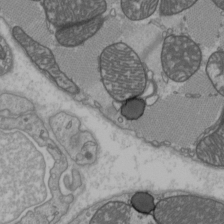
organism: C57BL Mouse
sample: Heart